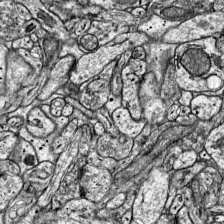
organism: Mouse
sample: Visual Cortex